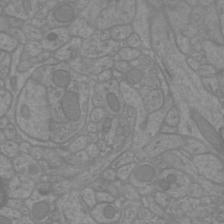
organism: Mouse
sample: Cortical neurons